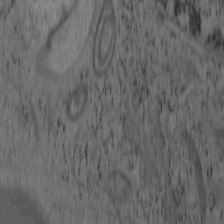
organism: Human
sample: HeLa cells